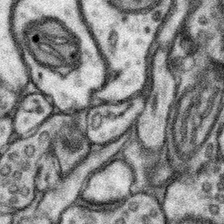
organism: Mouse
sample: Somatosensory cortex neuropil